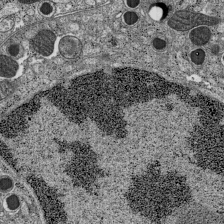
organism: C57BL Mouse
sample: Pancreatic islet